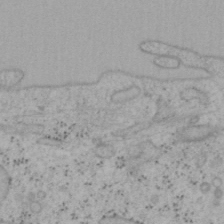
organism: Human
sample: HeLa cells